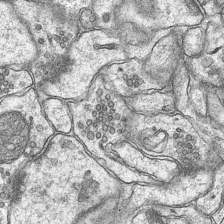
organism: Mouse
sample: CA1 Hippocampus